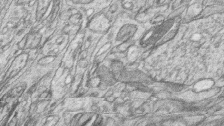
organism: Zebrafish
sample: synaptic ribbons in rod cells and cone cells